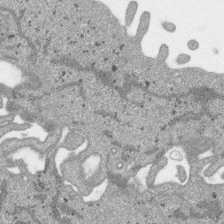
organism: Human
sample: Lung epithelial cells infected with SARS-CoV-2